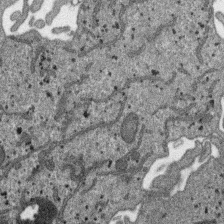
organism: Human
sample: Lung epithelial cells infected with SARS-CoV-2